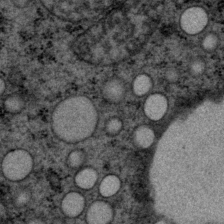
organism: P. pacificus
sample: Pharynx